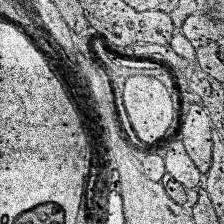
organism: Human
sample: Temporal Lobe